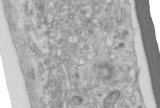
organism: Human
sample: Centriole in RPE cells